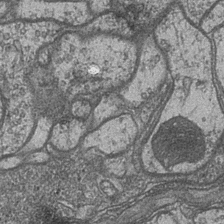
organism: Drosophila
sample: Optic medulla